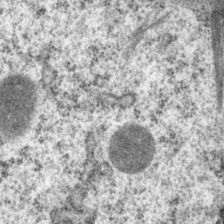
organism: P. pacificus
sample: Pharynx